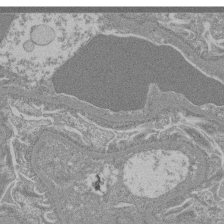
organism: Mouse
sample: Glomerulus